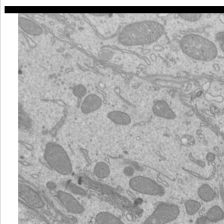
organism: Mouse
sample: Cilia; mouse epididymis